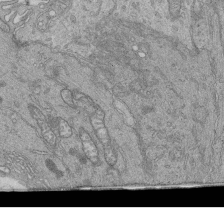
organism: Human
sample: Retinal organoid Rod and Cone cells